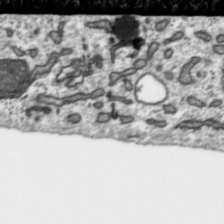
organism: Toxoplasma gondii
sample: Parasites in a vacuole inside a host cell